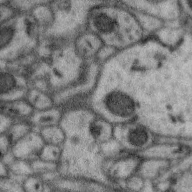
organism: Zebra finch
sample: Brain